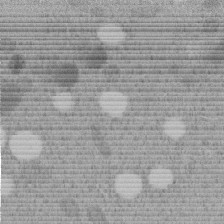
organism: C. elegans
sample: C. elegans embryo early stage